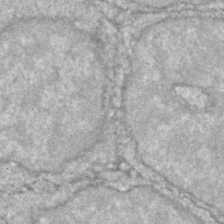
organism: Zebrafish